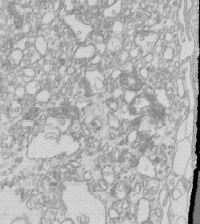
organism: Mouse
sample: Macrophages